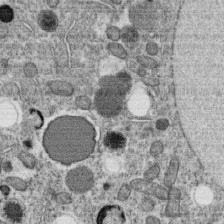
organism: C. elegans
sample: C. elegans oocyte; sperm cells